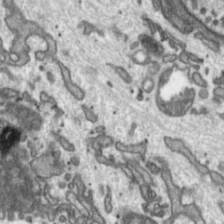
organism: Toxoplasma gondii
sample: Parasites in a vacuole inside a host cell